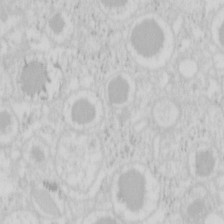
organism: Mouse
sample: Pancreas